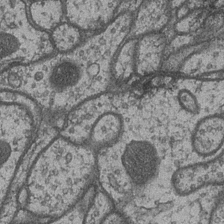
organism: Drosophila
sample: Optic medulla